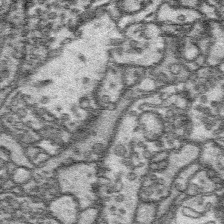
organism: Platynereis dumerilii